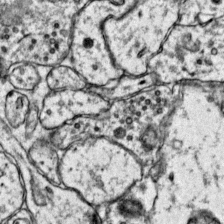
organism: Mouse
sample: Primary visual cortex